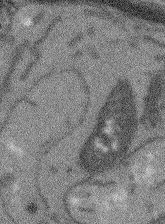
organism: Arabidopsis thaliana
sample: Root tip